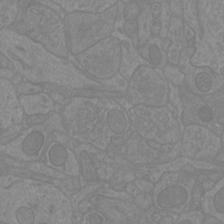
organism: Mouse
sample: Cortical neurons